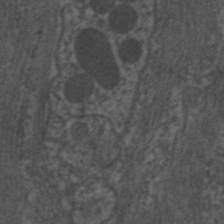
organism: C. elegans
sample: Pharynx